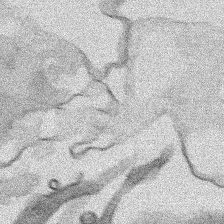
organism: Human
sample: Mitochondria in HCT116 cells